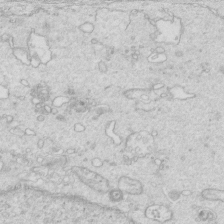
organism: Mouse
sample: Multiciliated cells